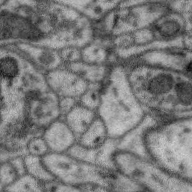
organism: Zebra finch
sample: Brain